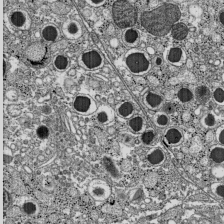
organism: C57BL Mouse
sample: Pancreatic islet